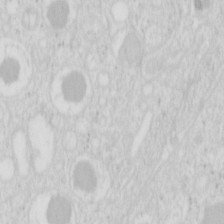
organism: Mouse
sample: Pancreas